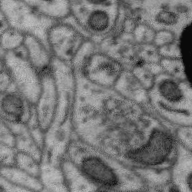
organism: Zebra finch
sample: Brain